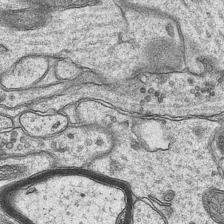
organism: Mouse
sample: CA1 Hippocampus